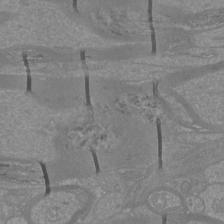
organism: Mouse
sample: Cortical neurons